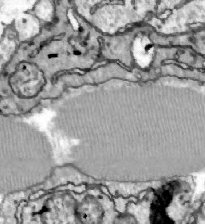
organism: Zebrafish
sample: Actinotrichia fibers